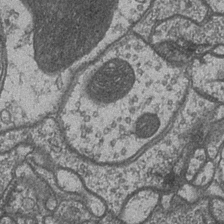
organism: Drosophila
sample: Optic medulla